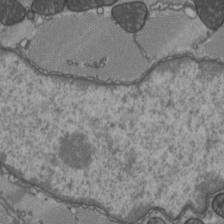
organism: C57BL Mouse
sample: Heart